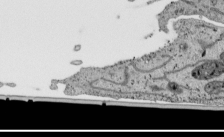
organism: Human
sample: Mitochondria in HCT116 cells